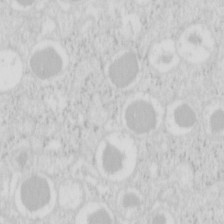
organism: Mouse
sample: Pancreas